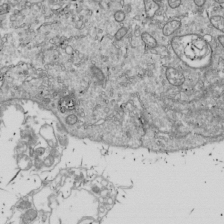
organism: Drosophila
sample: Cell division; meiosis; drosophila spermatocytes